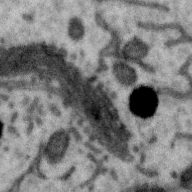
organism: Zebra finch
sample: Brain